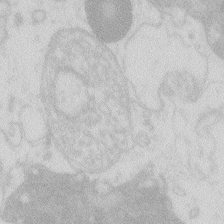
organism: Zebrafish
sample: Macrophage